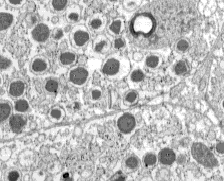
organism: C57BL Mouse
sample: Pancreatic islet